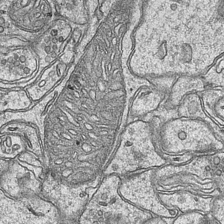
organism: Mouse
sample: CA1 Hippocampus